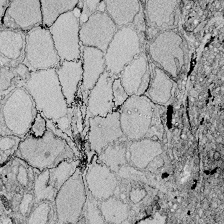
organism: Zebrafish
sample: Whole-Brain